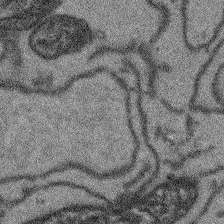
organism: Arabidopsis thaliana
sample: Root tip